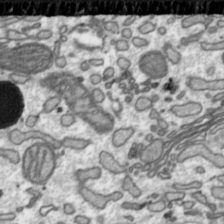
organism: Toxoplasma gondii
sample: Parasites in a vacuole inside a host cell